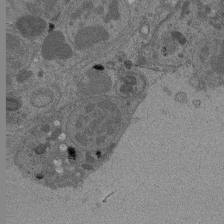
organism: Drosophila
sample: Antenna